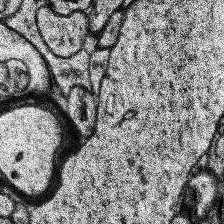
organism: Human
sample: Temporal Lobe